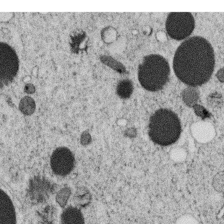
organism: C. elegans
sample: C. elegans oocyte; sperm cells